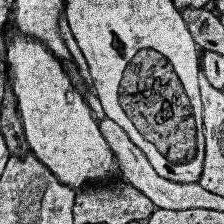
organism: Human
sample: Temporal Lobe